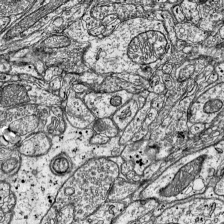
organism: Mouse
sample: Visual Cortex